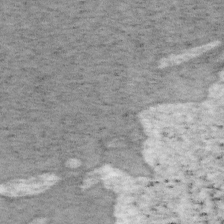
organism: Mouse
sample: OT-I killer T cells with ID8 ovarian cancer cells